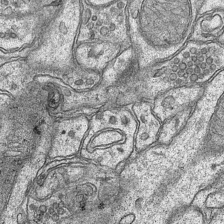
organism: Mouse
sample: CA1 Hippocampus